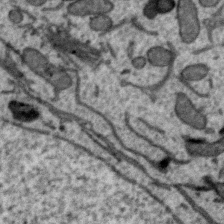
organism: Zebra finch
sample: Brain